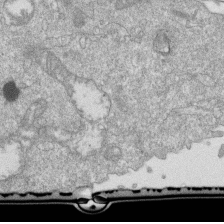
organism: Human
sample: HeLa cell HIV synapse